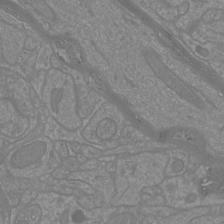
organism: Mouse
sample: Cortical neurons